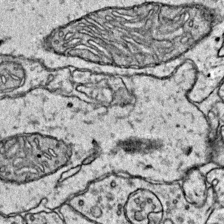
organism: Mouse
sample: Primary visual cortex